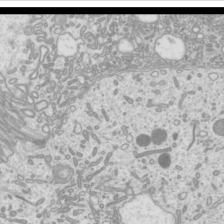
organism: Mouse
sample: Cilia; mouse epididymis